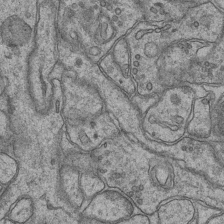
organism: Mouse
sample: CA1 Hippocampus